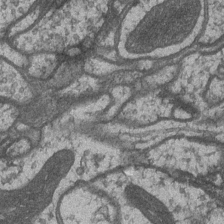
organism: Drosophila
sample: Optic medulla